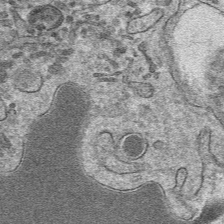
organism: Mouse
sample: Mouse hepatocytes